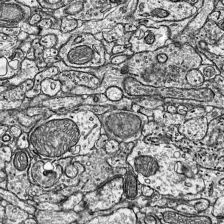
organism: Mouse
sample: Visual Cortex